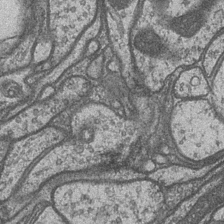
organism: Drosophila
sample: Optic medulla